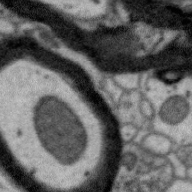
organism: Zebra finch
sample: Brain